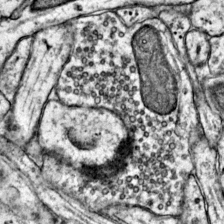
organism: Mouse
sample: Primary visual cortex